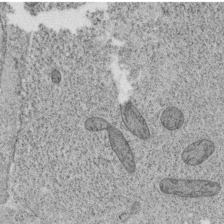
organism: C. elegans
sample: C. elegans oocyte; sperm cells